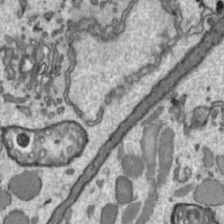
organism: Toxoplasma gondii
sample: Parasites in a vacuole inside a host cell